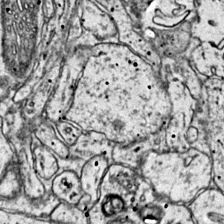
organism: Mouse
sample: Primary visual cortex